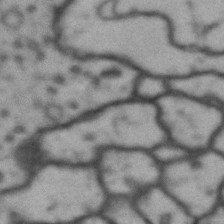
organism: Drosophila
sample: Brain